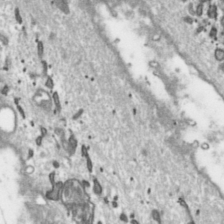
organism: Toxoplasma gondii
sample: Parasites in a vacuole inside a host cell